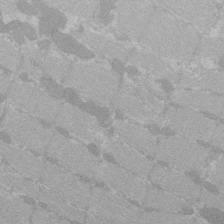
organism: C57BL Mouse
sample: Tibialis anterior muscle cell